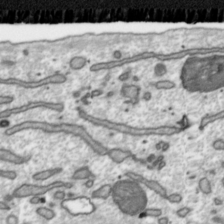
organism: Toxoplasma gondii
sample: Parasites in a vacuole inside a host cell